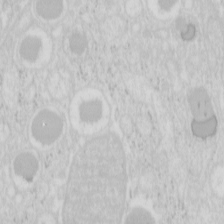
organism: Mouse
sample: Pancreas